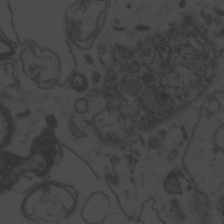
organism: Zebrafish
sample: Macrophage infected with Toxoplasma gondii